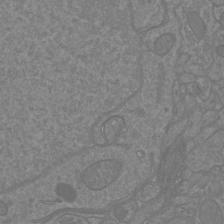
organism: Mouse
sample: Cortical neurons